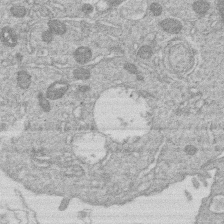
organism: Human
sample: Macrophage cells